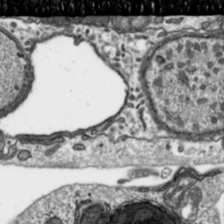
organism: Toxoplasma gondii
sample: Parasites in a vacuole inside a host cell